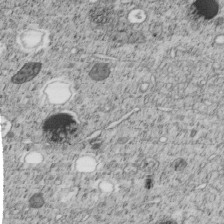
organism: C. elegans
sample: C. elegans embryo early stage